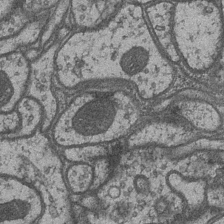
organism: Drosophila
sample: Optic medulla